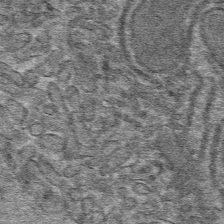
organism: Mouse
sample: Mouse hepatocytes